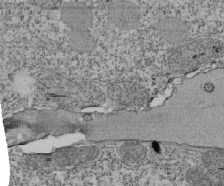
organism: Tetrahymena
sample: Cilia in tetrahymena